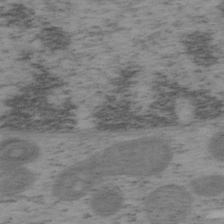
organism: Mouse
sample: OT-I killer T cells with ID8 ovarian cancer cells